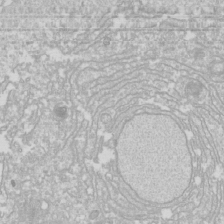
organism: Drosophila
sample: Cell division; meiosis; drosophila spermatocytes